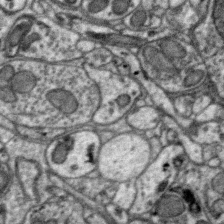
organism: Zebra finch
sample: Brain